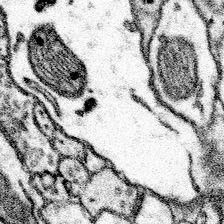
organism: Mouse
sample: Somatosensory cortex neuropil